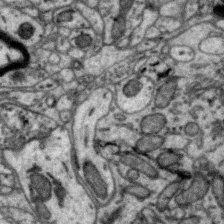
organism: Zebra finch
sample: Brain